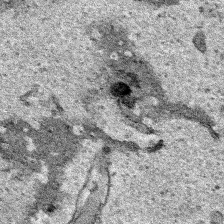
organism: Human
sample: Mitochondria in HCT116 cells